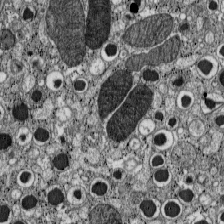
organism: C57BL Mouse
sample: Pancreatic islet